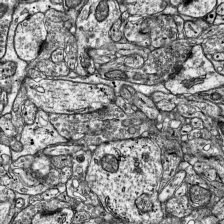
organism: Mouse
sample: Visual Cortex